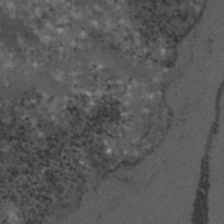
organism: C. elegans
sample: C. elegans embryo